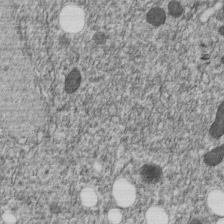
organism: C. elegans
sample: C. elegans embryo early stage